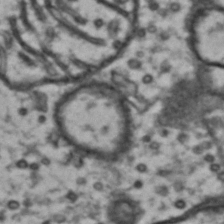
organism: Drosophila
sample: Brain